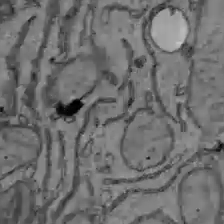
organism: C57BL Mouse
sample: Liver